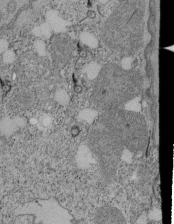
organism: Tetrahymena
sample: Cilia in tetrahymena